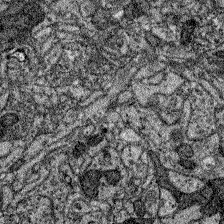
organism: Zebrafish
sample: Larval olfactory bulb